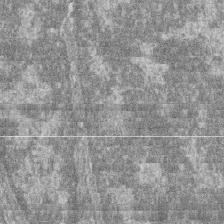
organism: Zebrafish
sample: Cilia; retinal pigment epithelium